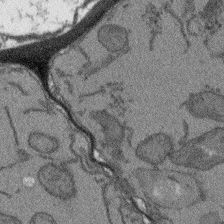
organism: Arabidopsis thaliana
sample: Root tip